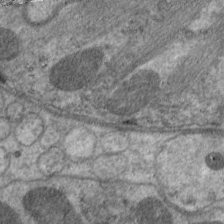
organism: C. elegans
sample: Pharynx